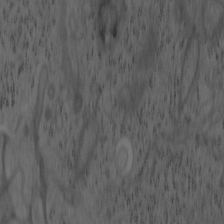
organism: Human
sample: HeLa cells